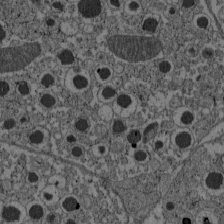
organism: C57BL Mouse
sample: Pancreatic islet